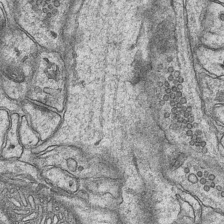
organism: Mouse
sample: CA1 Hippocampus